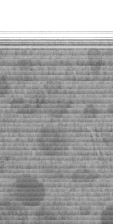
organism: C. elegans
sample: C. elegans embryo early stage